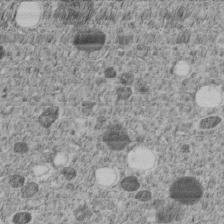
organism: C. elegans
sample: C. elegans embryo early stage